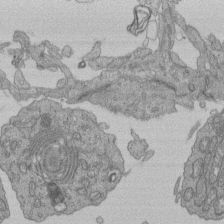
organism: Human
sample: Retinal organoid Rod and Cone cells